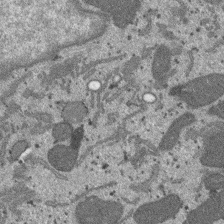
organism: Human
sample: Lung epithelial cells infected with SARS-CoV-2